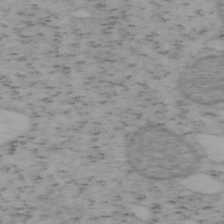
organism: Mouse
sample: OT-I killer T cells with ID8 ovarian cancer cells